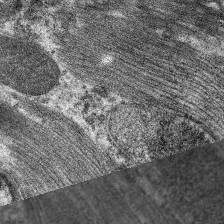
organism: C. elegans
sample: Pharynx